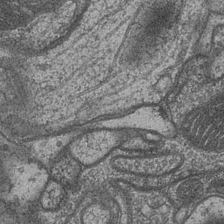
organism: Drosophila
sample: Optic medulla